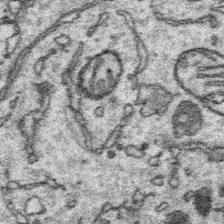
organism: Platynereis dumerilii